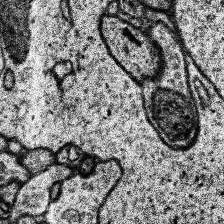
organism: Human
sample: Temporal Lobe